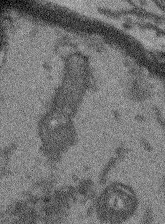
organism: Arabidopsis thaliana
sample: Root tip